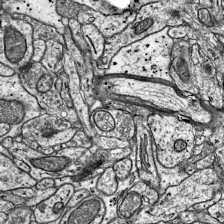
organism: Mouse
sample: Visual Cortex